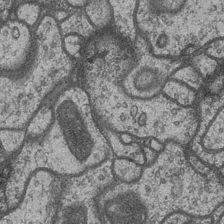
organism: Drosophila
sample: Optic medulla